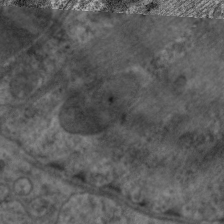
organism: C. elegans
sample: Pharynx